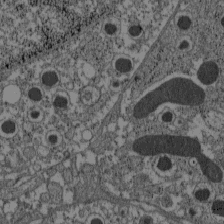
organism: C57BL Mouse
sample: Pancreatic islet